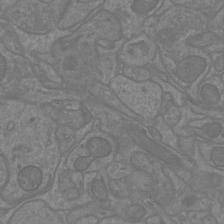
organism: Mouse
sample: Cortical neurons